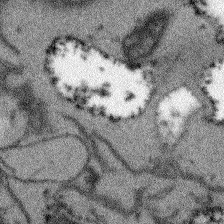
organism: Arabidopsis thaliana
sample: Root tip